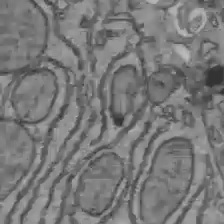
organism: C57BL Mouse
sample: Liver